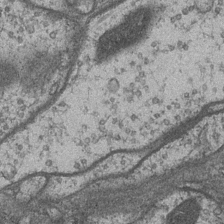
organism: Drosophila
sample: Optic medulla